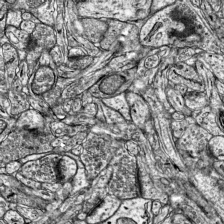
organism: Mouse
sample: Visual Cortex